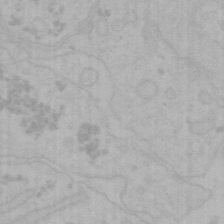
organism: Mouse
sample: Choroid plexus